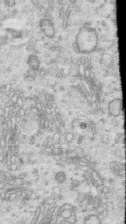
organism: Human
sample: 1205lu cells